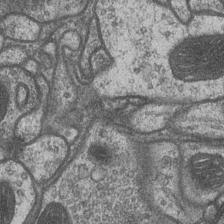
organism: Drosophila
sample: Optic medulla